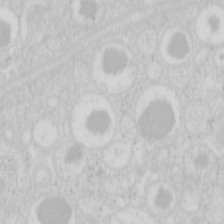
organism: Mouse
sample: Pancreas